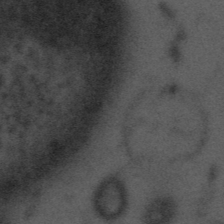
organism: Tuwongella immobilis